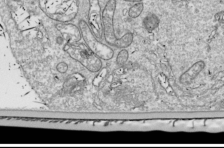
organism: Drosophila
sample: Cell division; meiosis; drosophila spermatocytes